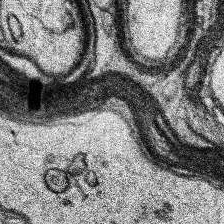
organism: Human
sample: Temporal Lobe